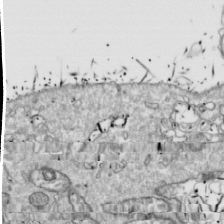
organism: Drosophila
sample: Cell division; meiosis; drosophila spermatocytes